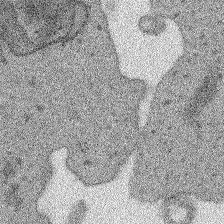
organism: Human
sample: HeLa cells